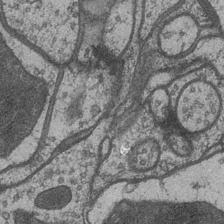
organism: Drosophila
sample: Optic medulla